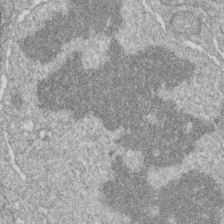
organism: Zebrafish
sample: Cilia; retinal pigment epithelium